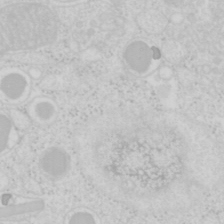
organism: Mouse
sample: Pancreas